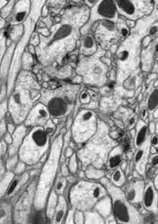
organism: Drosophila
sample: Optic lobe